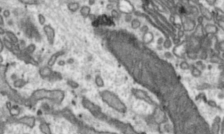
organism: Toxoplasma gondii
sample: Parasites in a vacuole inside a host cell